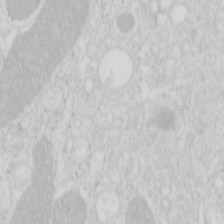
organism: Mouse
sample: Pancreas